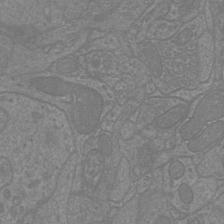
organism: Mouse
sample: Cortical neurons